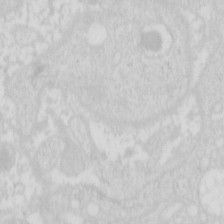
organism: Mouse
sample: Pancreas